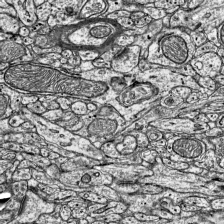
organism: Mouse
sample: Visual Cortex